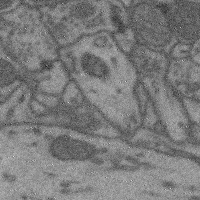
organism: Mouse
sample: Cerebral cortex